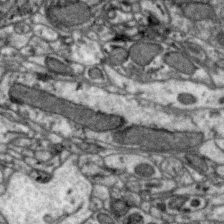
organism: Zebra finch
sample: Brain